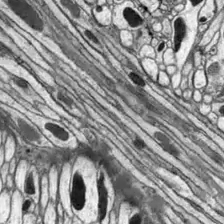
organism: Drosophila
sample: Optic lobe